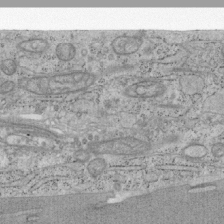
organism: Human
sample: HeLa cells